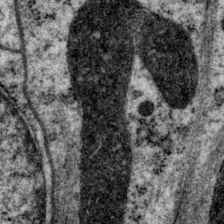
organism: P. pacificus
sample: Pharynx